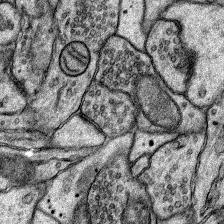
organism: Rat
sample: Hippocampus